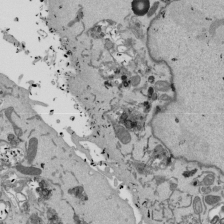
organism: Mouse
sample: ED-1 cell nuclei; centrioles